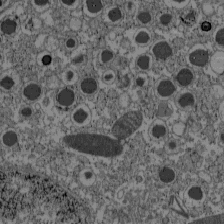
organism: C57BL Mouse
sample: Pancreatic islet